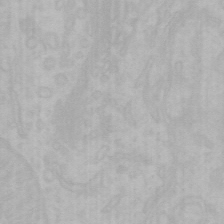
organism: Mouse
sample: Choroid plexus